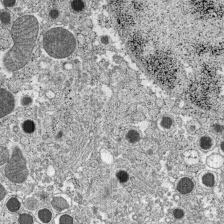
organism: C57BL Mouse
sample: Pancreatic islet